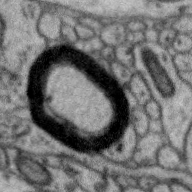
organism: Zebra finch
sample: Brain